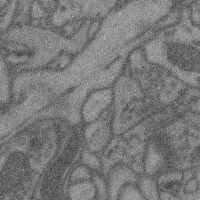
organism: Mouse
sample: Cerebral cortex